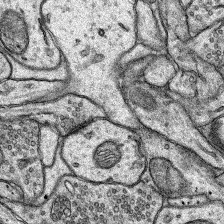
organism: Rat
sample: Hippocampus